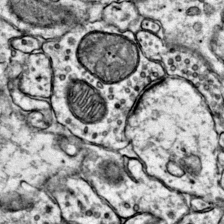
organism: Mouse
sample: Primary visual cortex